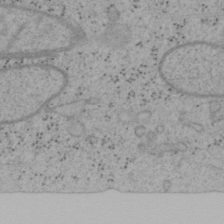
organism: Human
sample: HeLa cells